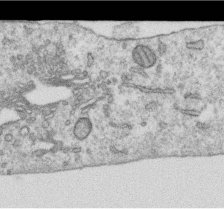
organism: Human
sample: Centriole in RPE cells